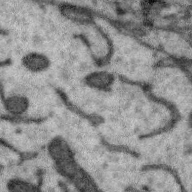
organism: Zebra finch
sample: Brain